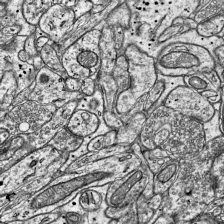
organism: Mouse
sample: Visual Cortex